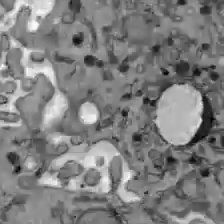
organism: C57BL Mouse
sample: Liver